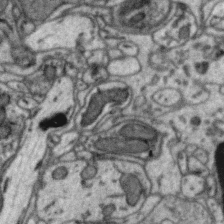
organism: Zebra finch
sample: Brain